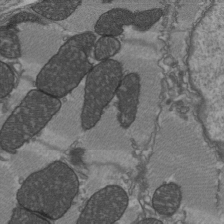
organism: C57BL Mouse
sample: Heart